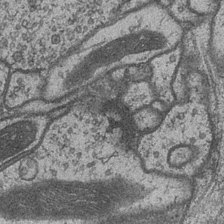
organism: Drosophila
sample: Optic medulla